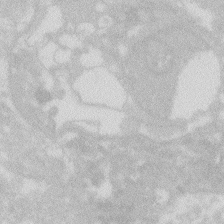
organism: Zebrafish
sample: Macrophage